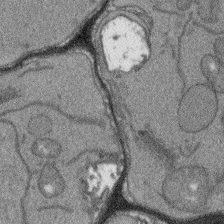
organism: Arabidopsis thaliana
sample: Root tip